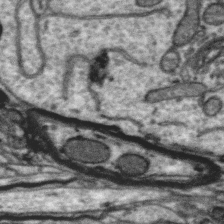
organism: Zebra finch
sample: Brain